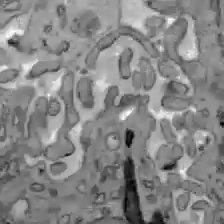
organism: C57BL Mouse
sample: Liver